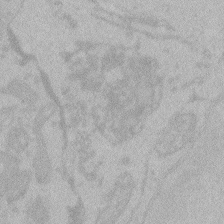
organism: Zebrafish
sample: Macrophage infected with Toxoplasma gondii